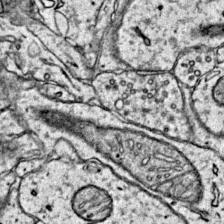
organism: Mouse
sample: Primary visual cortex